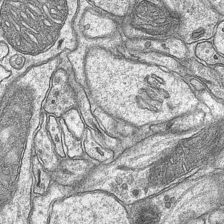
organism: Mouse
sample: CA1 Hippocampus